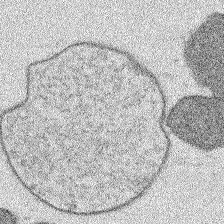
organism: Human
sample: HeLa cells